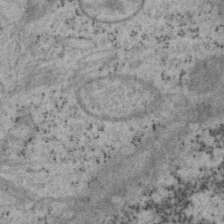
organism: Human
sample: HeLa cells